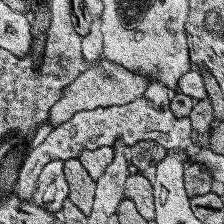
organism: Human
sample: Temporal Lobe